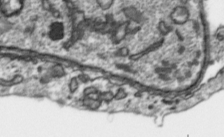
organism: Toxoplasma gondii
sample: Parasites in a vacuole inside a host cell